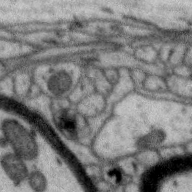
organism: Zebra finch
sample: Brain